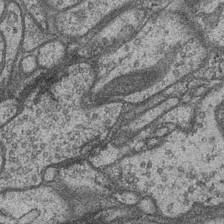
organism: Drosophila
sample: Optic medulla